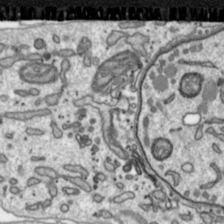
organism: Toxoplasma gondii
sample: Parasites in a vacuole inside a host cell